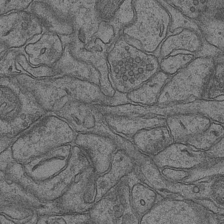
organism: Mouse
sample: CA1 Hippocampus